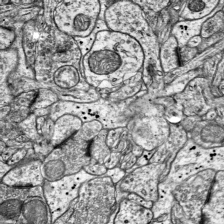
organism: Mouse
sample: Visual Cortex